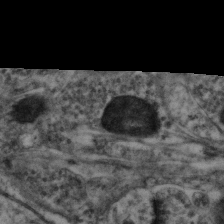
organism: Mouse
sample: Neocortex